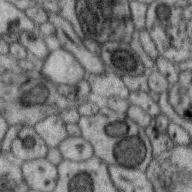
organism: Zebra finch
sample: Brain